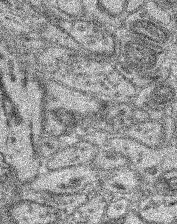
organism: Mouse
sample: Retina